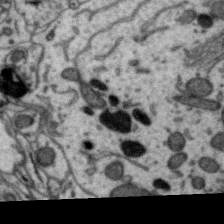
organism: Zebra finch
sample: Brain